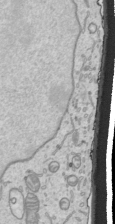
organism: Human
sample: Mitochondria in HCT116 cells